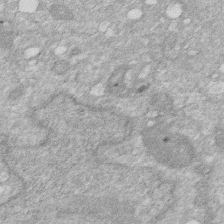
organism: Human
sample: HIV infected U937 cells